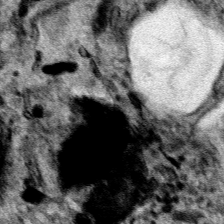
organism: Human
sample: Mitochondria in HCT116 cells